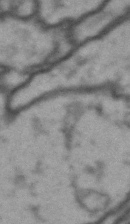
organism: Drosophila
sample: Brain